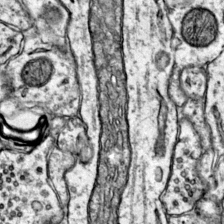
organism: Mouse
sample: Primary visual cortex